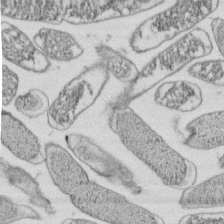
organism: E. coli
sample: Bacterial nucleoid